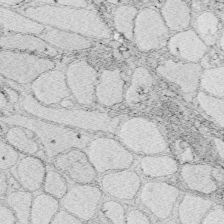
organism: Zebrafish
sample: Whole-Brain